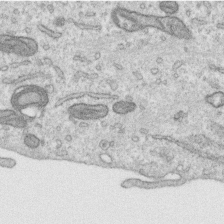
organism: Human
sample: Centriole in RPE cells